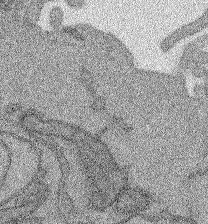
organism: Human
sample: HeLa cells